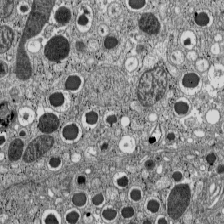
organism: C57BL Mouse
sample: Pancreatic islet